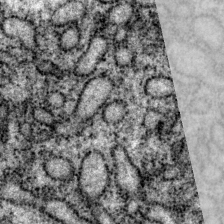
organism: P. pacificus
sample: Pharynx